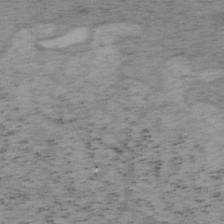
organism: Mouse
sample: OT-I killer T cells with ID8 ovarian cancer cells